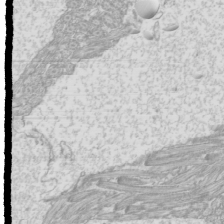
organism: Mouse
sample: Cilia; mouse epididymis